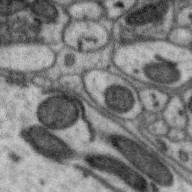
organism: Zebra finch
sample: Brain